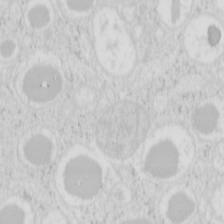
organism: Mouse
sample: Pancreas